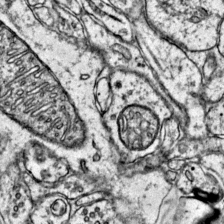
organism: Mouse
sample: Primary visual cortex